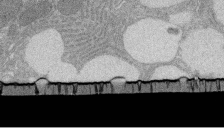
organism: Rat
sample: Salivary granule